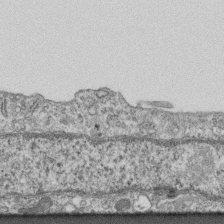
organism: Mouse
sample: Centriole in ependymal cells